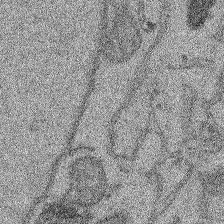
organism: Human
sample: HeLa cells